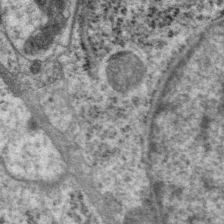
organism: P. pacificus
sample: Pharynx